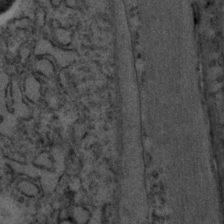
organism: C. elegans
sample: C. elegans embryo